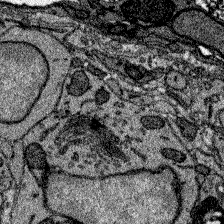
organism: Zebrafish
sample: Larval olfactory bulb